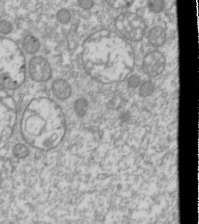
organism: Drosophila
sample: Cell division; meiosis; drosophila spermatocytes